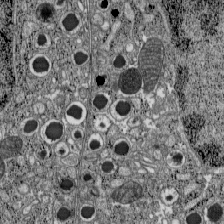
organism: C57BL Mouse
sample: Pancreatic islet